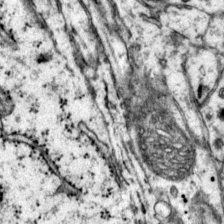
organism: Mouse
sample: Primary visual cortex